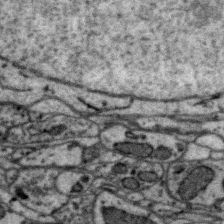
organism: Zebra finch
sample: Brain